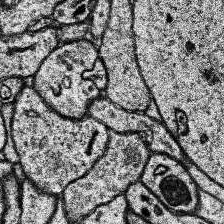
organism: Human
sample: Temporal Lobe